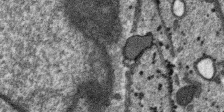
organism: Human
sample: Lung epithelial cells infected with SARS-CoV-2